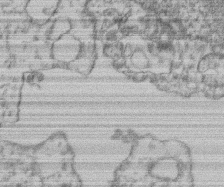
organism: Mouse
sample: T cell stromal cell synapse